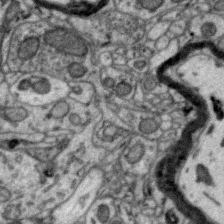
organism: Zebra finch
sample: Brain